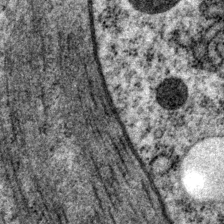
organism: P. pacificus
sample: Pharynx